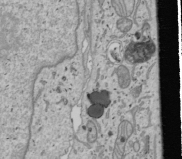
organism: Human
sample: Mitochondria in U2OS cells